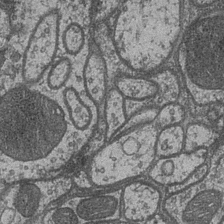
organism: Drosophila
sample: Optic medulla